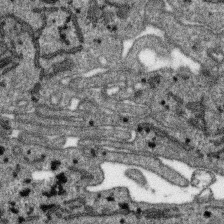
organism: Human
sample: Lung epithelial cells infected with SARS-CoV-2